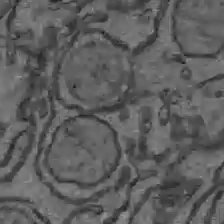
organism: C57BL Mouse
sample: Liver